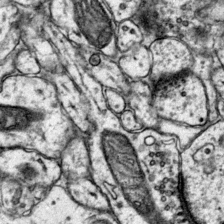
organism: Mouse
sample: Primary visual cortex